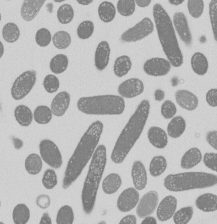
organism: E. coli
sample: Bacterial nucleoid